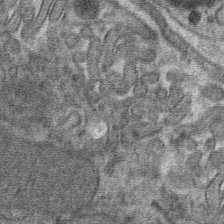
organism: Mouse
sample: Mouse hepatocytes